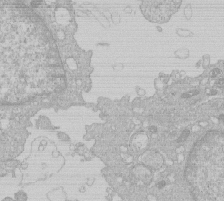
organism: Human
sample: Macrophage cells